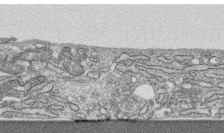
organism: Human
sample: CRL-1474